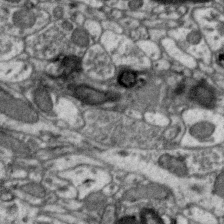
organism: Zebra finch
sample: Brain